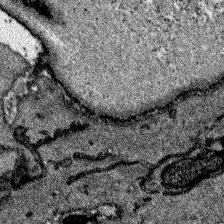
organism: Zebrafish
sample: Larval olfactory bulb